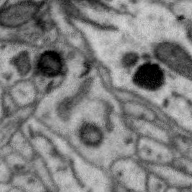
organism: Zebra finch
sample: Brain